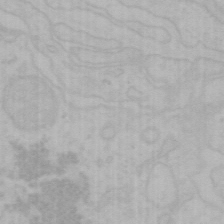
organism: Mouse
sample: Choroid plexus